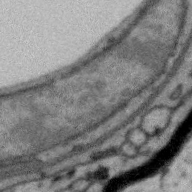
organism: Zebra finch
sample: Brain